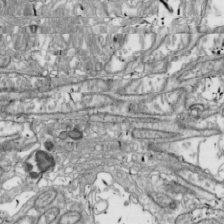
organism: Drosophila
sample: Cell division; meiosis; drosophila spermatocytes